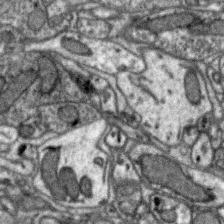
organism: Zebra finch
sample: Brain